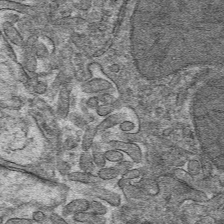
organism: Mouse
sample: Mouse hepatocytes